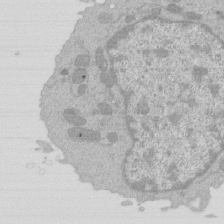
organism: Mouse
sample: Activated Pmel transgenic CD8+ T Cells